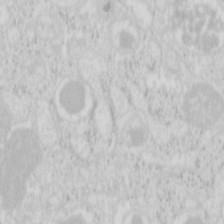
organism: Mouse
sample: Pancreas